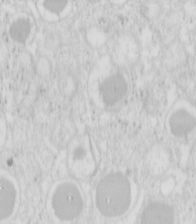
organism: Mouse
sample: Pancreas